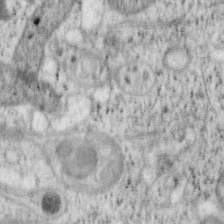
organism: Mouse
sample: OT-I killer T cells with ID8 ovarian cancer cells